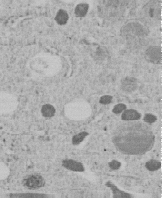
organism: C. elegans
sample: C. elegans embryo early stage